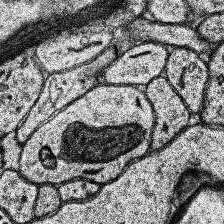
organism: Human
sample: Temporal Lobe